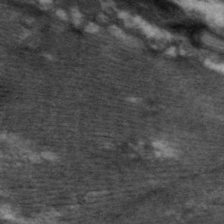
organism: C. elegans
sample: Pharynx